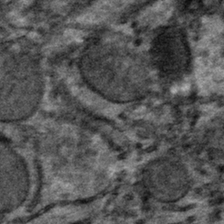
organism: Mouse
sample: Mouse hepatocytes